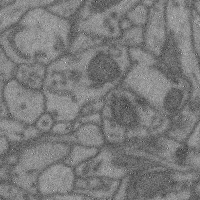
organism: Mouse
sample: Cerebral cortex